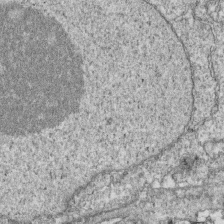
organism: Human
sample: HeLa cell HIV synapse